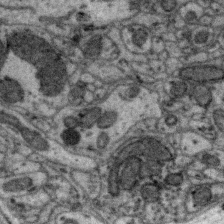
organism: Zebra finch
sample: Brain